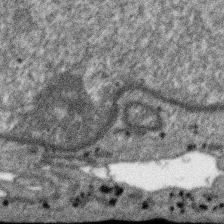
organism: Human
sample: Lung epithelial cells infected with SARS-CoV-2